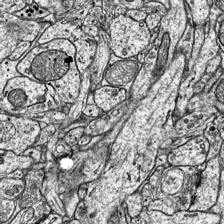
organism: Mouse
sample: Visual Cortex